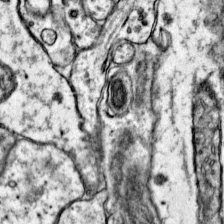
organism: Mouse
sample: Primary visual cortex